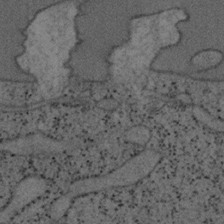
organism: Human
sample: HeLa cells